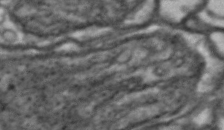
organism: Drosophila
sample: Brain